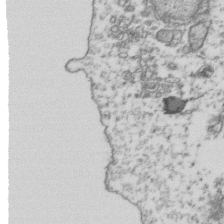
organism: Human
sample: Activated Jurkat CD4+ T cells